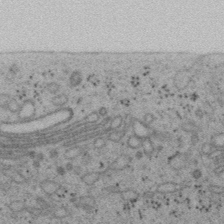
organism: Human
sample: HeLa cells